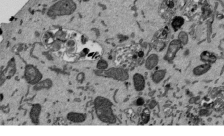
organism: Mouse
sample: ED-1 cell nuclei; centrioles